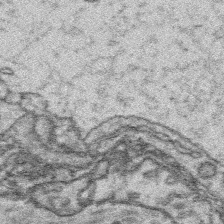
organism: Platynereis dumerilii